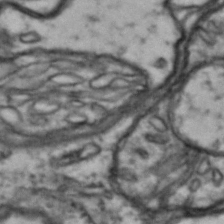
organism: Drosophila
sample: Brain